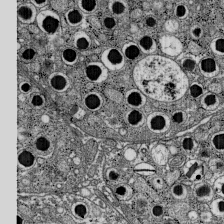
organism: C57BL Mouse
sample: Pancreatic islet